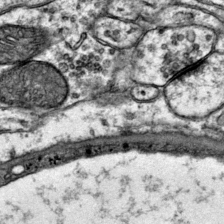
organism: Mouse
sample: Primary visual cortex